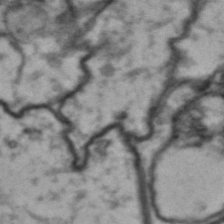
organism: Drosophila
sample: Brain